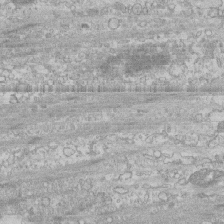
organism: Human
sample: CRL-1474